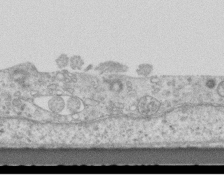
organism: Mouse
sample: Centriole in ependymal cells